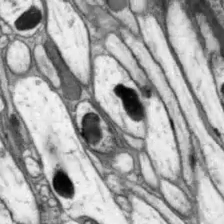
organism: Drosophila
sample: Optic lobe